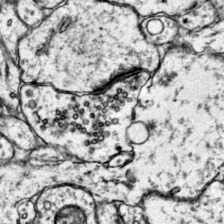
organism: Mouse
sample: Primary visual cortex